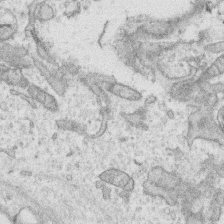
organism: Human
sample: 1205lu cells